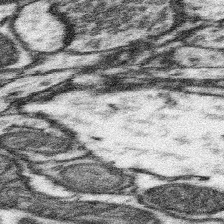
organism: Mouse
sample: Somatosensory cortex neuropil